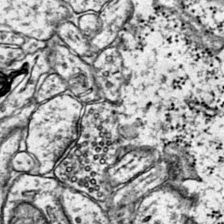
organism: Mouse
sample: Primary visual cortex